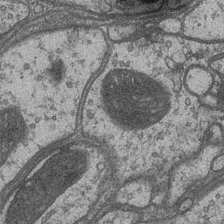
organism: Drosophila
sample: Optic medulla